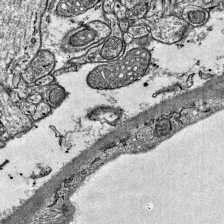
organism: Mouse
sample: Visual Cortex